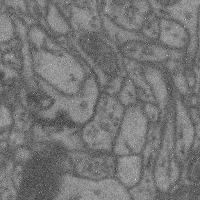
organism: Mouse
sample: Cerebral cortex